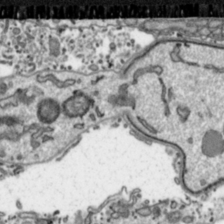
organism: Toxoplasma gondii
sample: Parasites in a vacuole inside a host cell